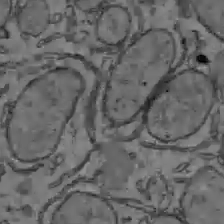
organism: C57BL Mouse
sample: Liver